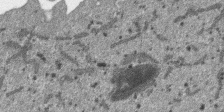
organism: Human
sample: Lung epithelial cells infected with SARS-CoV-2